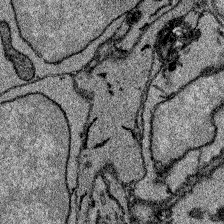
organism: Zebrafish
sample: Larval olfactory bulb